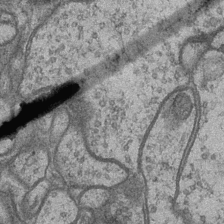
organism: Drosophila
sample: Optic medulla